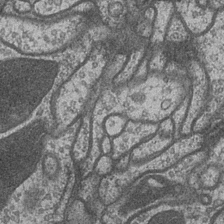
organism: Drosophila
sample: Optic medulla